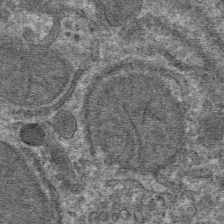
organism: Mouse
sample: Mouse hepatocytes